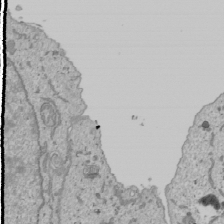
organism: Human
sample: Mitochondria in U2OS cells